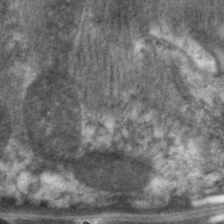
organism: C. elegans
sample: Pharynx